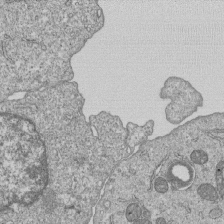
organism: Human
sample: MDA-MB-231 cells